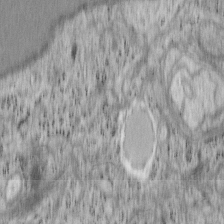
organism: Human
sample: HeLa cells